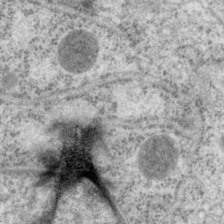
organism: P. pacificus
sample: Pharynx